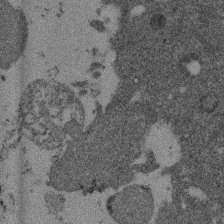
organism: Mouse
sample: Dividing mouse embryo 1 cell stage